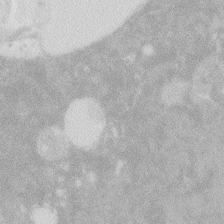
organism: Zebrafish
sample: Macrophage